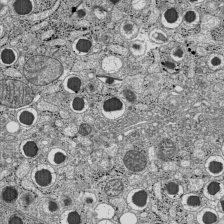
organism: C57BL Mouse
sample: Pancreatic islet